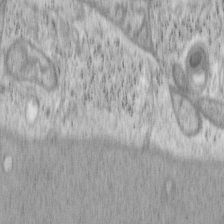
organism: Human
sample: HeLa cells